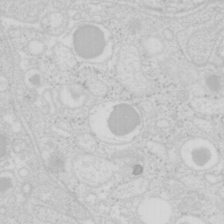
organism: Mouse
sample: Pancreas